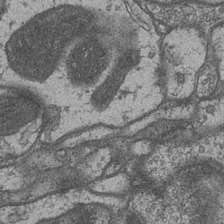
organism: Drosophila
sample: Optic medulla